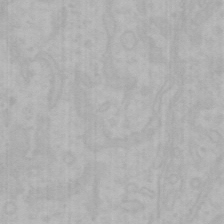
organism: Mouse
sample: Choroid plexus